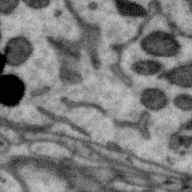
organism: Zebra finch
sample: Brain